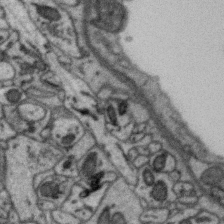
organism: Zebra finch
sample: Brain